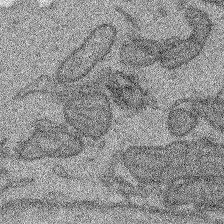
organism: Human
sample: HeLa cells